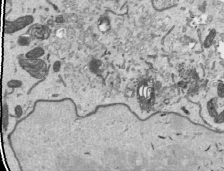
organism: Human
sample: Mitochondria in HCT116 cells